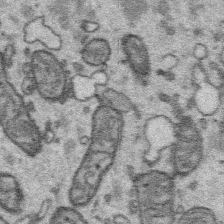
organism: Platynereis dumerilii